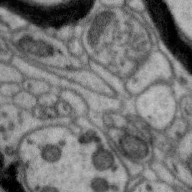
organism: Zebra finch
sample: Brain